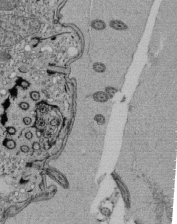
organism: Tetrahymena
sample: Cilia in tetrahymena